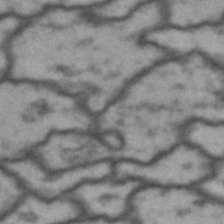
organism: Drosophila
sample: Brain